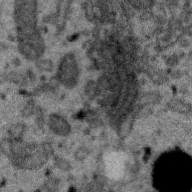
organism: Zebra finch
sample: Brain